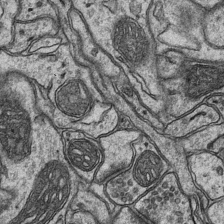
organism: Mouse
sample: CA1 Hippocampus